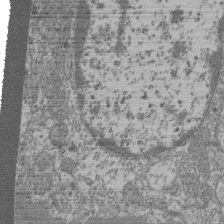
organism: Mouse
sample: Glomerulus